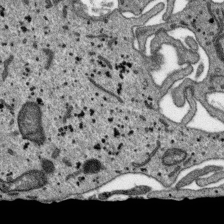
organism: Human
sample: Lung epithelial cells, uninfected (mock) control